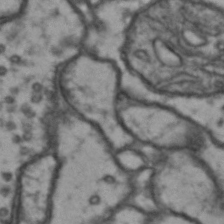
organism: Drosophila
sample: Brain